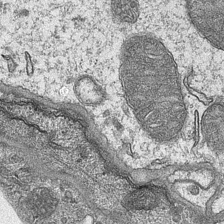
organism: Mouse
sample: CA1 Hippocampus